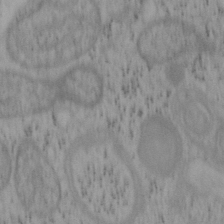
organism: Mouse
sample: OT-I killer T cells with ID8 ovarian cancer cells